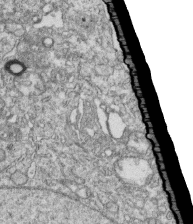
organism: Human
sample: HeLa cell HIV synapse